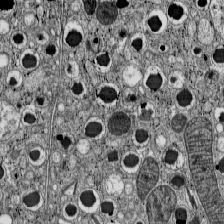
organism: C57BL Mouse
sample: Pancreatic islet